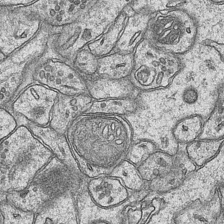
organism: Mouse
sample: CA1 Hippocampus